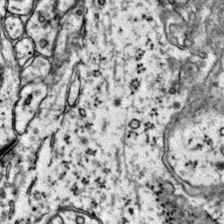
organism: Mouse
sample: Primary visual cortex